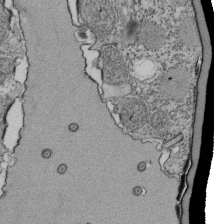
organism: Tetrahymena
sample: Cilia in tetrahymena